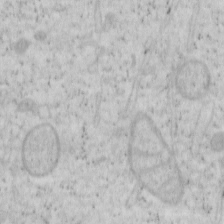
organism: Human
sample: HeLa cells